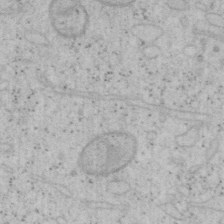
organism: Human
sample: HeLa cells